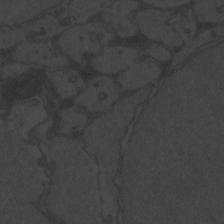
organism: Zebrafish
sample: Macrophage infected with Toxoplasma gondii